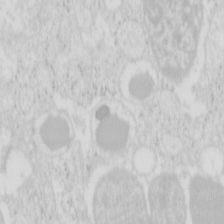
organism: Mouse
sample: Pancreas